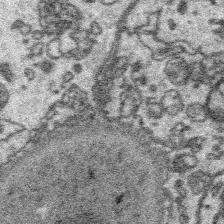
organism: Platynereis dumerilii